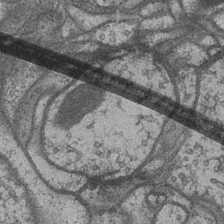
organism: Drosophila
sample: Optic medulla